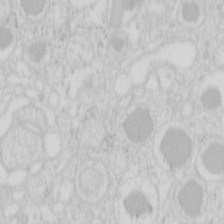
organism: Mouse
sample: Pancreas